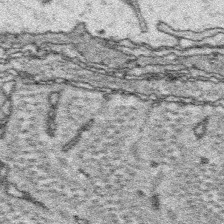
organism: Platynereis dumerilii